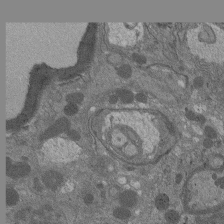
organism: Drosophila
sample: Antenna